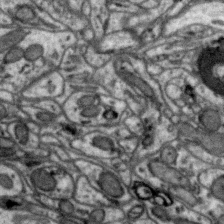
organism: Zebra finch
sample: Brain